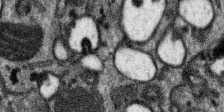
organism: Human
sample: Lung epithelial cells infected with SARS-CoV-2